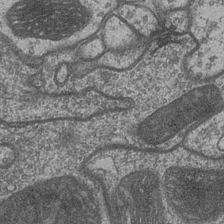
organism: Drosophila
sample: Optic medulla